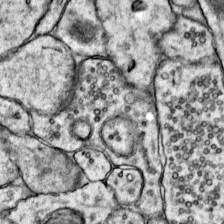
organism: Mouse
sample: Primary visual cortex